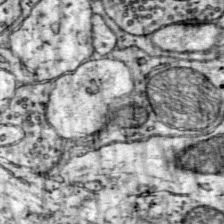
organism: Mouse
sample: Primary visual cortex